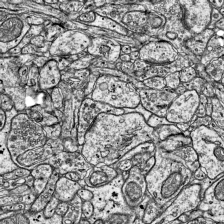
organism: Mouse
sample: Visual Cortex